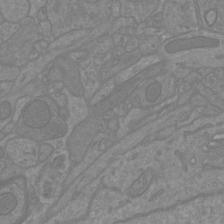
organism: Mouse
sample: Cortical neurons